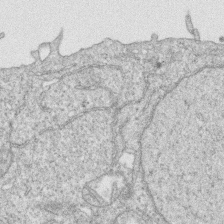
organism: Human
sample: HeLa cell HIV synapse